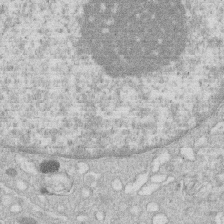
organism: Human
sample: Macrophage cells